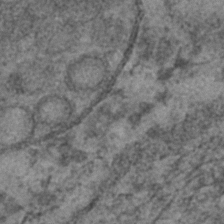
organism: C. elegans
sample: C. elegans embryo